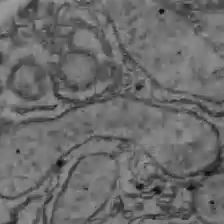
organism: C57BL Mouse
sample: Liver